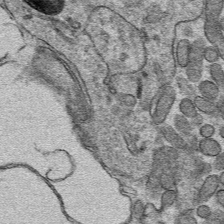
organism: Mouse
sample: Mouse hepatocytes